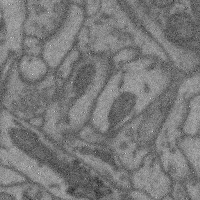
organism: Mouse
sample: Cerebral cortex